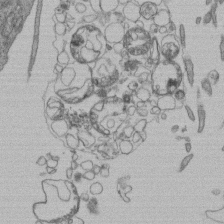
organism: Human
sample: Retinal organoid Rod and Cone cells